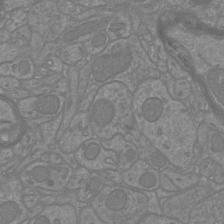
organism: Mouse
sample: Cortical neurons